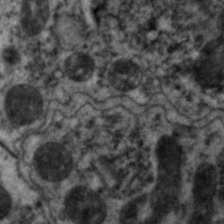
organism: C. elegans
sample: Pharynx